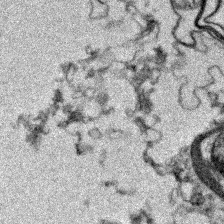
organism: Zebrafish